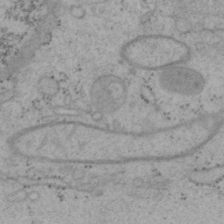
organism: Human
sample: HeLa cells